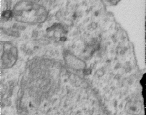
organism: Human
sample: Centriole in RPE cells